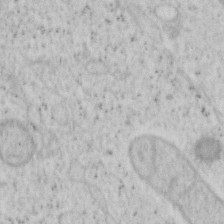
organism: Human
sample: HeLa cells